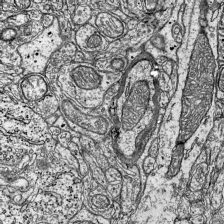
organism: Mouse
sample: Visual Cortex